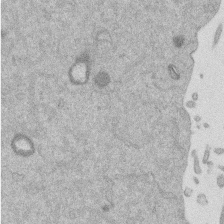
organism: Mouse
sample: Dividing mouse embryo 1 cell stage